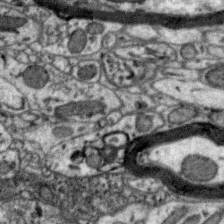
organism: Zebra finch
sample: Brain